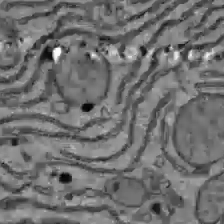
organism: C57BL Mouse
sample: Liver